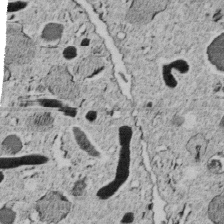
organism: C. elegans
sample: C. elegans embryo early stage